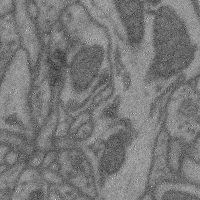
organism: Mouse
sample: Cerebral cortex